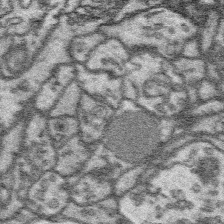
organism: Platynereis dumerilii